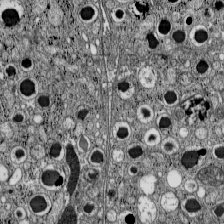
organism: C57BL Mouse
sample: Pancreatic islet